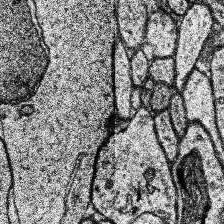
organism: Human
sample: Temporal Lobe